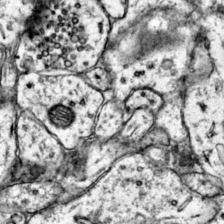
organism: Mouse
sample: Primary visual cortex